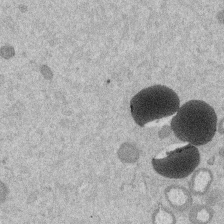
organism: Mouse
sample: Dividing mouse embryo 1 cell stage